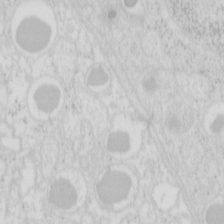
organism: Mouse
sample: Pancreas